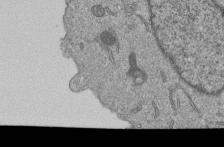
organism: Human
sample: MDA-MB-231 cells